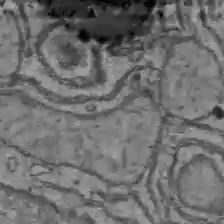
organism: C57BL Mouse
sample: Liver